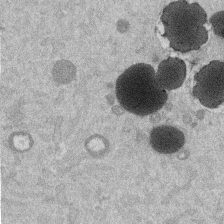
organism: Mouse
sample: Dividing mouse embryo 1 cell stage